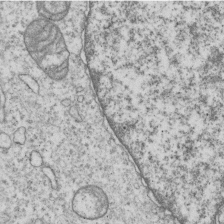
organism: Human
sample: MDA-MB-231 cells